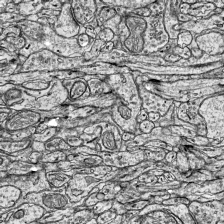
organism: Mouse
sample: Visual Cortex